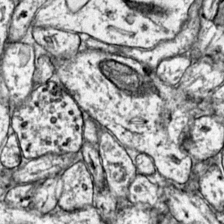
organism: Mouse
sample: Primary visual cortex